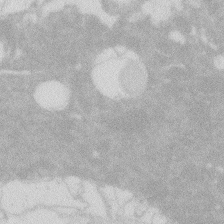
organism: Zebrafish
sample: Macrophage